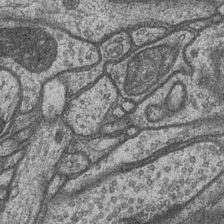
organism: Drosophila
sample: Optic medulla